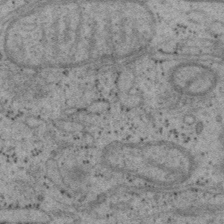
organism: Human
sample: HeLa cells